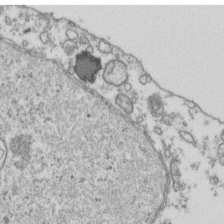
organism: Human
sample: Activated Jurkat CD4+ T cells